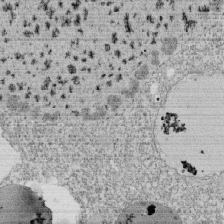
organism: Tetrahymena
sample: Cilia in tetrahymena